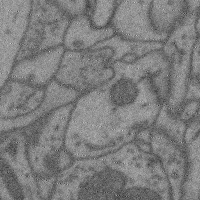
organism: Mouse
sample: Cerebral cortex